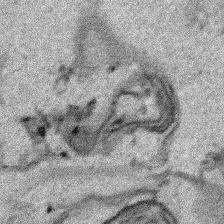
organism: Human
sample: Mitochondria in HCT116 cells